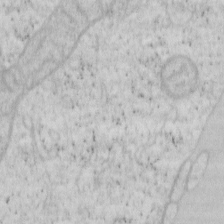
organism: Human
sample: HeLa cells